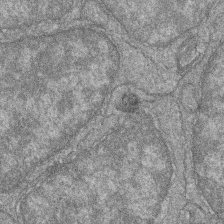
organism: Zebrafish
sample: Cilia; retinal pigment epithelium